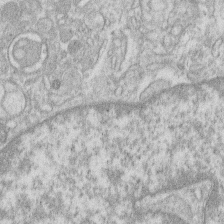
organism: Human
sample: Macrophage cells